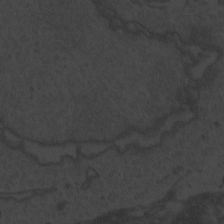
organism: Zebrafish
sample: Macrophage infected with Toxoplasma gondii